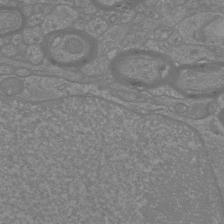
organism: Mouse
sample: Cortical neurons